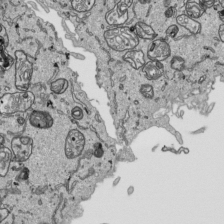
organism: Human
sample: Mitochondria in HCT116 cells